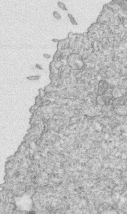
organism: Human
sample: HeLa cell HIV synapse